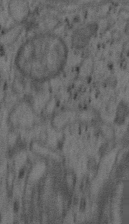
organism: Human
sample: HeLa cells